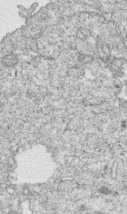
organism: Human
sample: HeLa cell HIV synapse